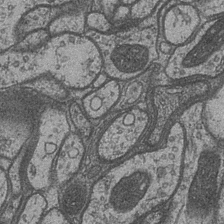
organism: Drosophila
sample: Optic medulla